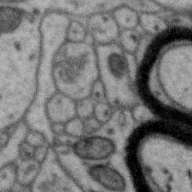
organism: Zebra finch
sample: Brain